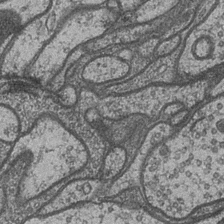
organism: Drosophila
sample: Optic medulla